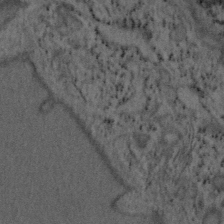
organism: Human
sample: HeLa cells